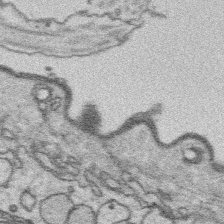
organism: Platynereis dumerilii